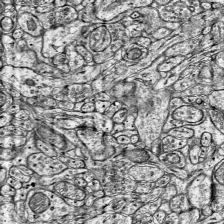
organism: Mouse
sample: Visual Cortex